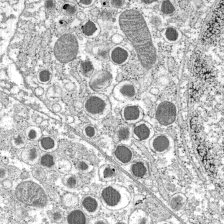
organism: C57BL Mouse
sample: Pancreatic islet